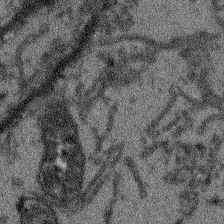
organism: Arabidopsis thaliana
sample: Root tip